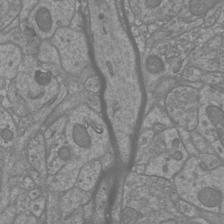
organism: Mouse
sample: Cortical neurons